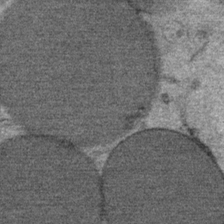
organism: Mouse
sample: Mouse Salivary gland